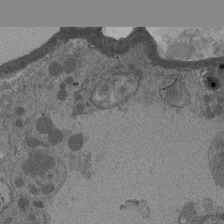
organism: Drosophila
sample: Antenna